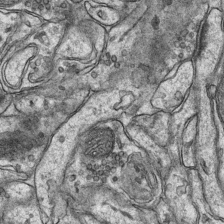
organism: Mouse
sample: CA1 Hippocampus